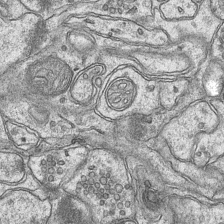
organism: Mouse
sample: CA1 Hippocampus